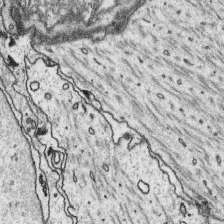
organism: Platynereis dumerilii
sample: Parapodia